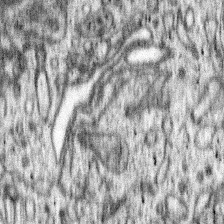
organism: Human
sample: HeLa cells